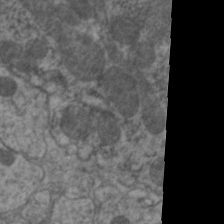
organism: C. elegans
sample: Pharynx